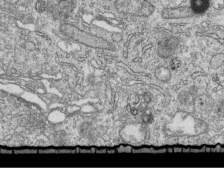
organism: Human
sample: HeLa cell HIV synapse